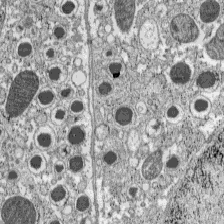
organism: C57BL Mouse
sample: Pancreatic islet